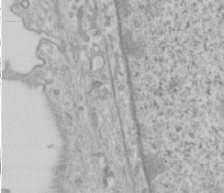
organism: Human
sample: Cilia; basal body in RPE cells